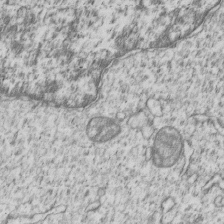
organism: Human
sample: MDA-MB-231 cells